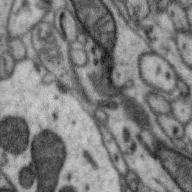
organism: Zebra finch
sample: Brain